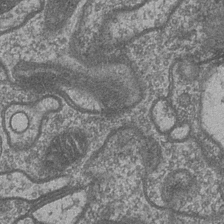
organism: Drosophila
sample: Optic medulla